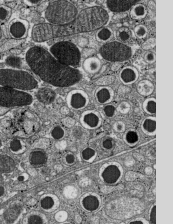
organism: C57BL Mouse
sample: Pancreatic islet